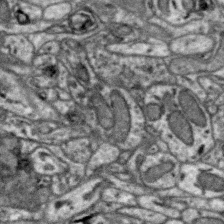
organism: Zebra finch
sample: Brain